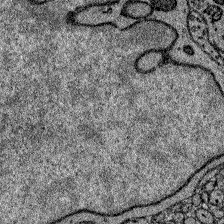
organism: Zebrafish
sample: Larval olfactory bulb